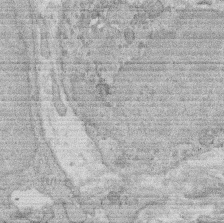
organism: Rat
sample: Salivary granule